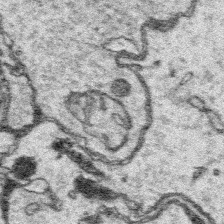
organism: Platynereis dumerilii